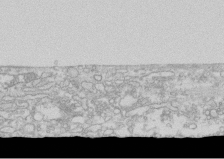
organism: Human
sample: CRL-1474